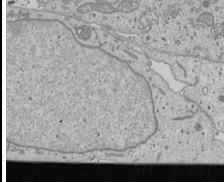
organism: Human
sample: Mitochondria in U2OS cells